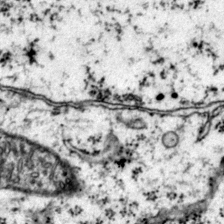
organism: Mouse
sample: Primary visual cortex